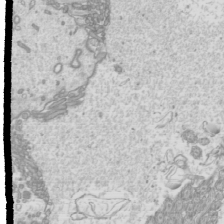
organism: Mouse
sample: Cilia; mouse epididymis